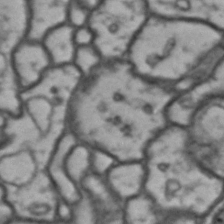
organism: Drosophila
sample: Brain